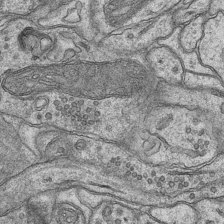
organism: Mouse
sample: CA1 Hippocampus